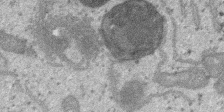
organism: Human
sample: Lung epithelial cells infected with SARS-CoV-2